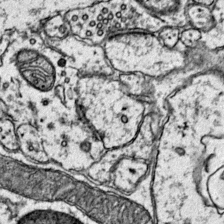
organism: Mouse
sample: Primary visual cortex